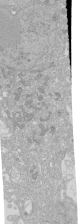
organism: Human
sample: Caco-2 cells